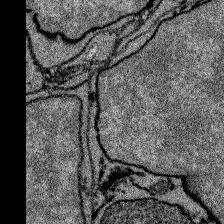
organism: Zebrafish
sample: Larval olfactory bulb